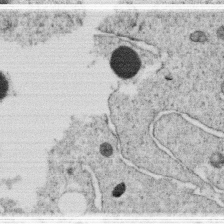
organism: C. elegans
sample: C. elegans oocyte; sperm cells